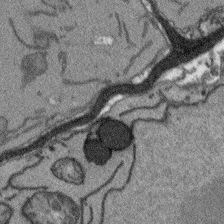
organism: Arabidopsis thaliana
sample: Root tip